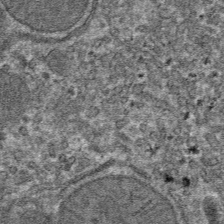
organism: Mouse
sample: Mouse hepatocytes